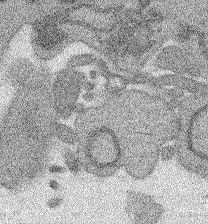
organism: Human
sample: HeLa cells